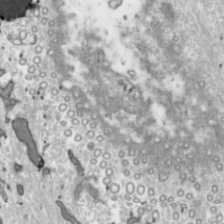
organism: Toxoplasma gondii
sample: Parasites in a vacuole inside a host cell